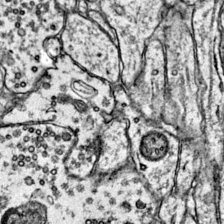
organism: Mouse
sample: Primary visual cortex